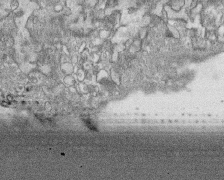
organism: Human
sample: CRL-1474